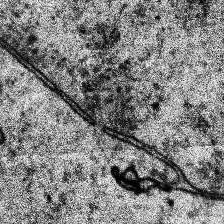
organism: Human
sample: Temporal Lobe